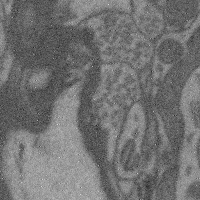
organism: Mouse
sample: Cerebral cortex